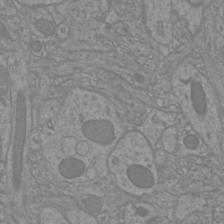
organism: Mouse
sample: Cortical neurons